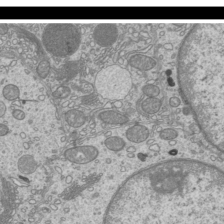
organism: Mouse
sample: Cilia; mouse epididymis